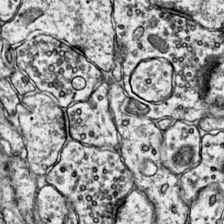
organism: Mouse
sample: Primary visual cortex